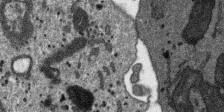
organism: Human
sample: Lung epithelial cells infected with SARS-CoV-2